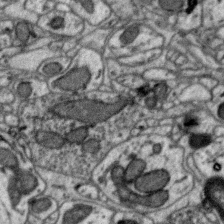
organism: Zebra finch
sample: Brain